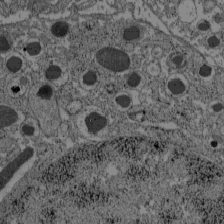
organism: C57BL Mouse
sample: Pancreatic islet